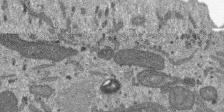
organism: Human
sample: Lung epithelial cells infected with SARS-CoV-2